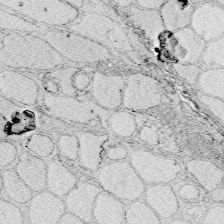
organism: Zebrafish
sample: Whole-Brain